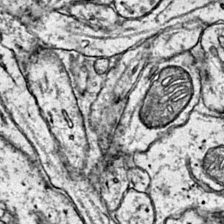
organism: Mouse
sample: Primary visual cortex